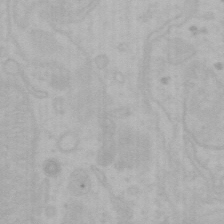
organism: Mouse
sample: Choroid plexus